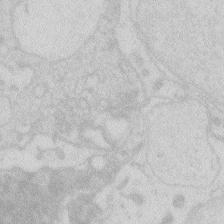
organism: Zebrafish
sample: Macrophage